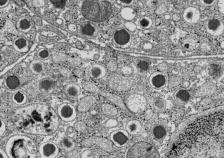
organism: C57BL Mouse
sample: Pancreatic islet